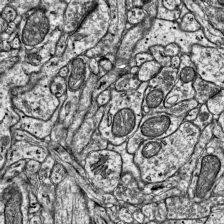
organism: Mouse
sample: Visual Cortex